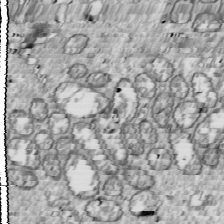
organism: Drosophila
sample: Cell division; meiosis; drosophila spermatocytes